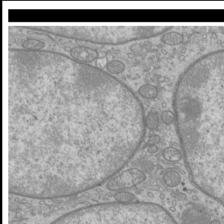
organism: Mouse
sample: Cilia; mouse epididymis